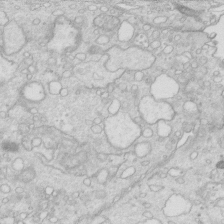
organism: Mouse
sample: Multiciliated cells